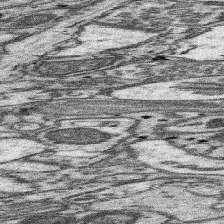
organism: Mouse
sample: Somatosensory cortex neuropil